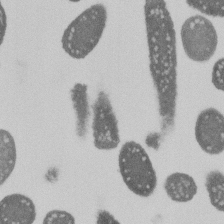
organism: E. coli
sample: Bacterial nucleoid